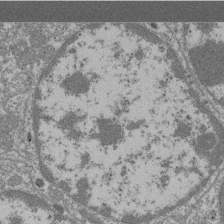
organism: Mouse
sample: Glomerulus